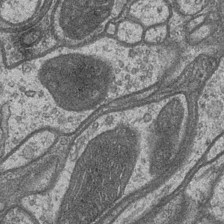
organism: Drosophila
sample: Optic medulla